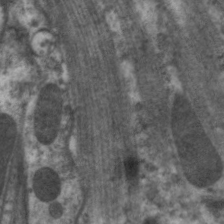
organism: C. elegans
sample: Pharynx